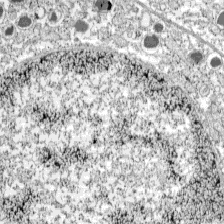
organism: C57BL Mouse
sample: Pancreatic islet